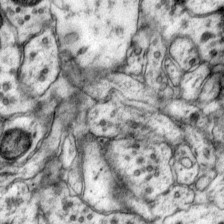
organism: Mouse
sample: Primary visual cortex